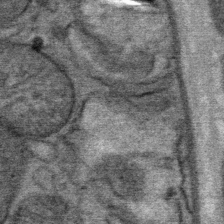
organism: Mouse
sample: Mouse Salivary gland